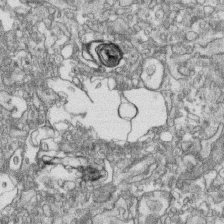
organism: Human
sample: CRL-1474